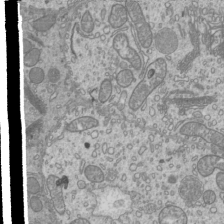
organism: Mouse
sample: Cilia; mouse epididymis